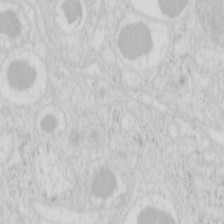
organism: Mouse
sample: Pancreas